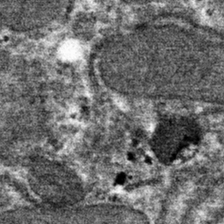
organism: Mouse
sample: Mouse hepatocytes